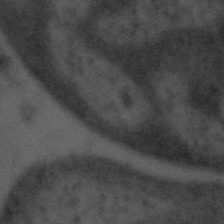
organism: Tuwongella immobilis